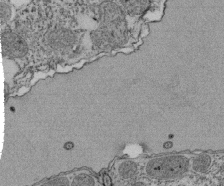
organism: Tetrahymena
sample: Cilia in tetrahymena